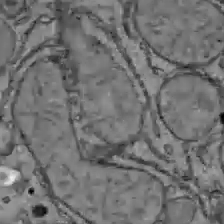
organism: C57BL Mouse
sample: Liver